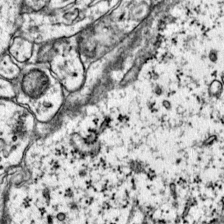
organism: Mouse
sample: Primary visual cortex